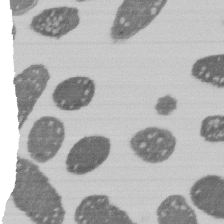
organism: E. coli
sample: Bacterial nucleoid